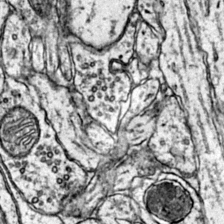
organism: Mouse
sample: Primary visual cortex